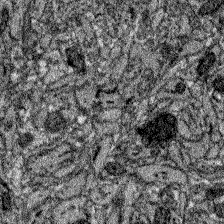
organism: Zebrafish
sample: Larval olfactory bulb